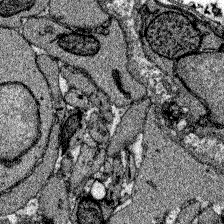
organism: Zebrafish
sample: Larval olfactory bulb